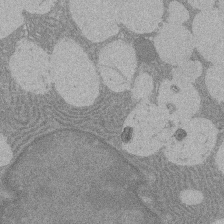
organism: Rat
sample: Salivary granule